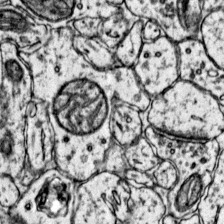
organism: Mouse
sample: Primary visual cortex